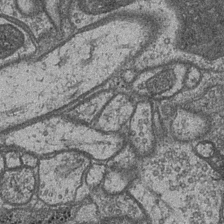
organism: Drosophila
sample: Optic medulla